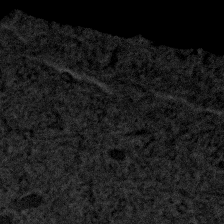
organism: Human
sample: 1205lu cells